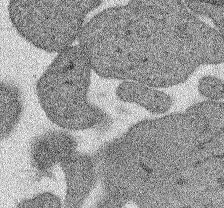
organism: Human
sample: HeLa cells